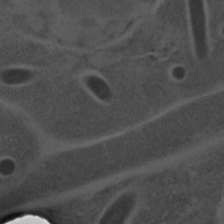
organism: C. elegans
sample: C. elegans embryo